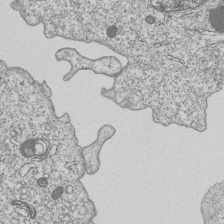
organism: Human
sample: MDA-MB-231 cells